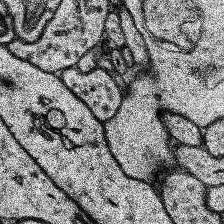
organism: Human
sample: Temporal Lobe